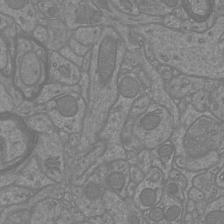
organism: Mouse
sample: Cortical neurons